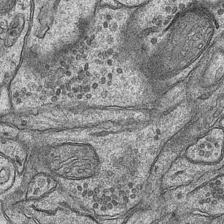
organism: Mouse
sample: CA1 Hippocampus